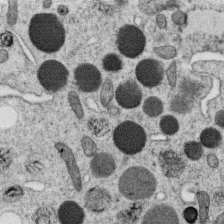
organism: C. elegans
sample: C. elegans oocyte; sperm cells